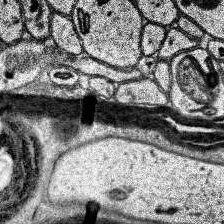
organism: Human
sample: Temporal Lobe